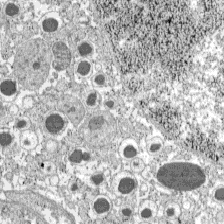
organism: C57BL Mouse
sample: Pancreatic islet